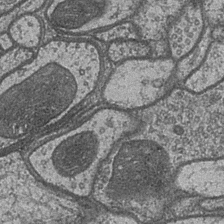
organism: Drosophila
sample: Optic medulla